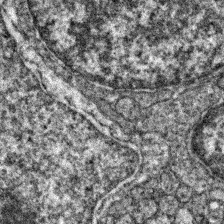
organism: Zebrafish